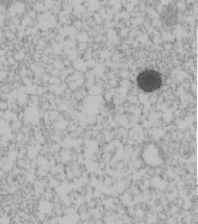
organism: Human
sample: U2-OS cells